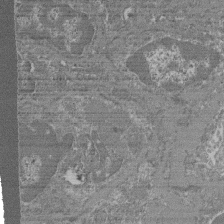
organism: Mouse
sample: Glomerulus